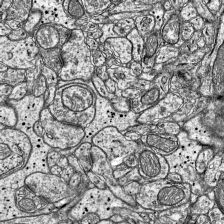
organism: Mouse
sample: Visual Cortex